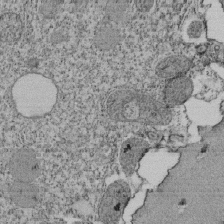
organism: Tetrahymena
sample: Cilia in tetrahymena